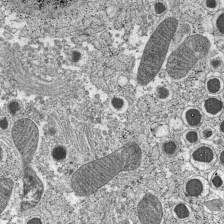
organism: C57BL Mouse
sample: Pancreatic islet